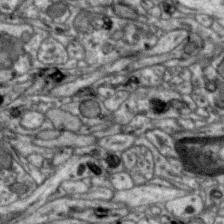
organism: Zebra finch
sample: Brain